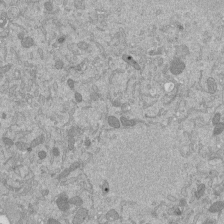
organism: Mouse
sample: ED-1 cell nuclei; centrioles